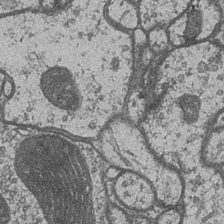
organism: Drosophila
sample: Optic medulla